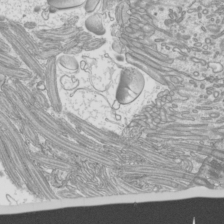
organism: Mouse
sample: Cilia; mouse epididymis